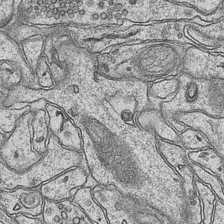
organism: Mouse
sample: CA1 Hippocampus